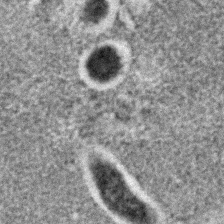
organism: C. elegans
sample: C. elegans embryo